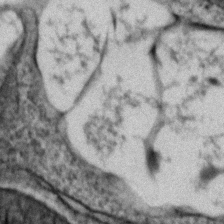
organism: Zebrafish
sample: Zebrafish embryo